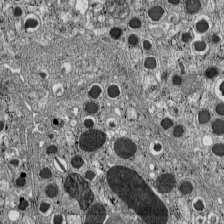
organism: C57BL Mouse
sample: Pancreatic islet